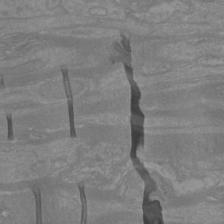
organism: Mouse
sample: Cortical neurons